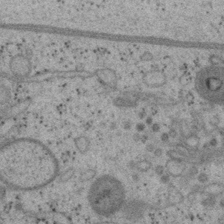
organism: Human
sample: HeLa cells